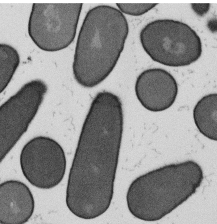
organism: B. subtilis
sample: Bacterial spore